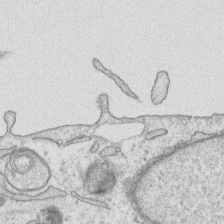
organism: Human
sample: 1205lu cells